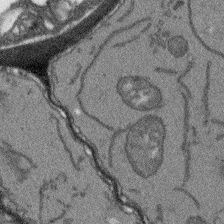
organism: Arabidopsis thaliana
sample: Root tip